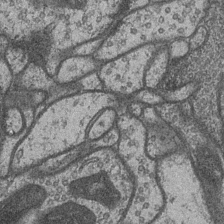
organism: Drosophila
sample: Optic medulla